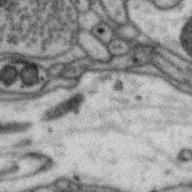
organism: Zebra finch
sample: Brain